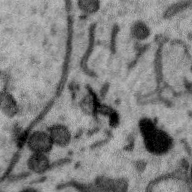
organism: Zebra finch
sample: Brain